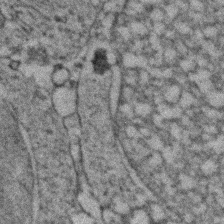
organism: Zebrafish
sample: Zebrafish embryo